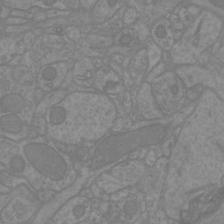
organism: Mouse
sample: Cortical neurons